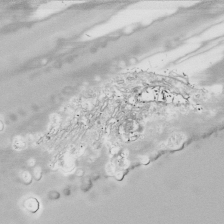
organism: Drosophila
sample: Cell division; meiosis; drosophila spermatocytes